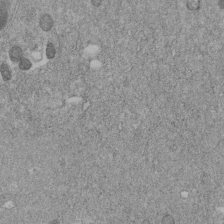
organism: C. elegans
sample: C. elegans embryo early stage